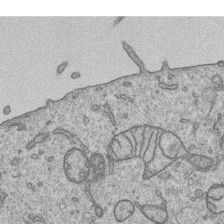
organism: Human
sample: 1205lu cells